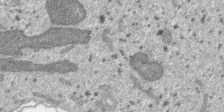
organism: Human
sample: Lung epithelial cells infected with SARS-CoV-2